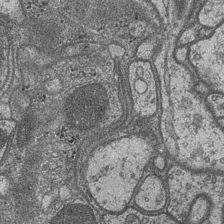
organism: Drosophila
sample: Optic medulla